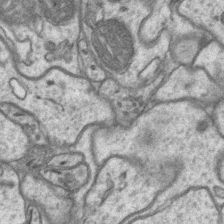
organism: Mouse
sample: CA1 Hippocampus